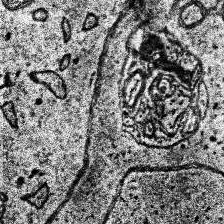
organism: Human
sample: Temporal Lobe